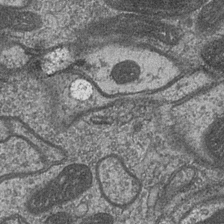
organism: Drosophila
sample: Optic medulla